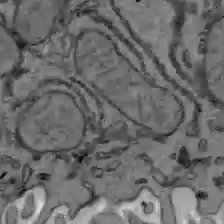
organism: C57BL Mouse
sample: Liver